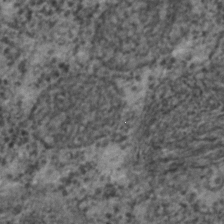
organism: C. elegans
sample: C. elegans embryo